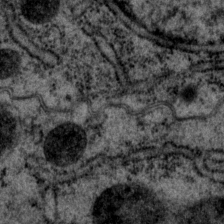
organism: P. pacificus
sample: Pharynx